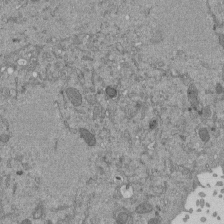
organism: Mouse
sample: ED-1 cell nuclei; centrioles